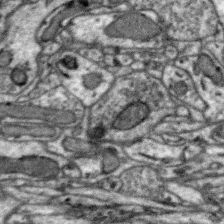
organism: Zebra finch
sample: Brain